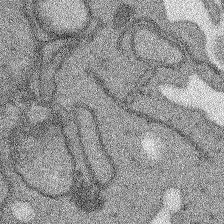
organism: Human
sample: HeLa cells